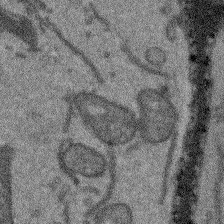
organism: Arabidopsis thaliana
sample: Root tip